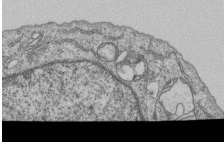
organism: Human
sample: MDA-MB-231 cells